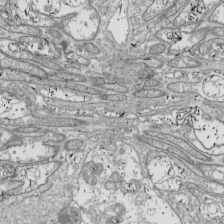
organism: Drosophila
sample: Cell division; meiosis; drosophila spermatocytes